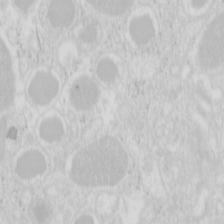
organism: Mouse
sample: Pancreas